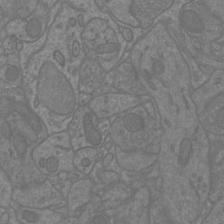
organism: Mouse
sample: Cortical neurons